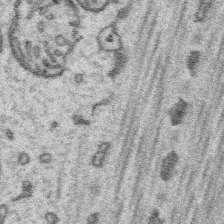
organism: Platynereis dumerilii